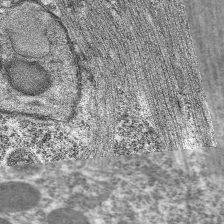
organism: C. elegans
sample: Pharynx